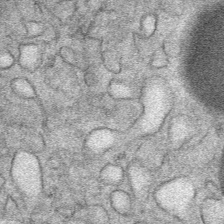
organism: Mouse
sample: Mouse Salivary gland